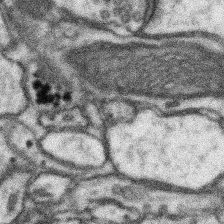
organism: Mouse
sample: Somatosensory cortex neuropil